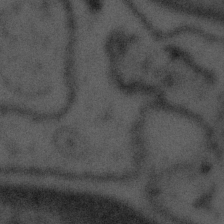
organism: Tuwongella immobilis